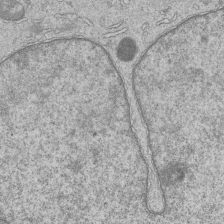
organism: Human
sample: MDA-MB-231 cells